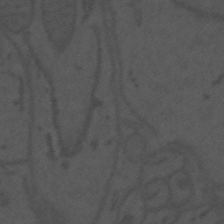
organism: Mouse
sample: Suprachiasmatic nucleus